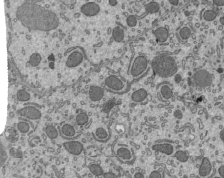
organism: Mouse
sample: Mouse epididymis efferent ductule cilia